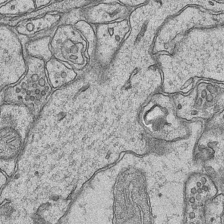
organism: Mouse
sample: CA1 Hippocampus